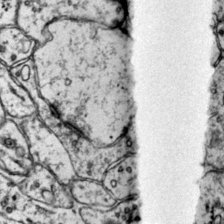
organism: Mouse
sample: Primary visual cortex